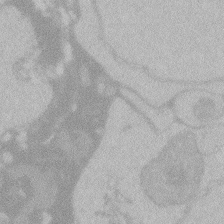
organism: Zebrafish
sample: Macrophage infected with Toxoplasma gondii